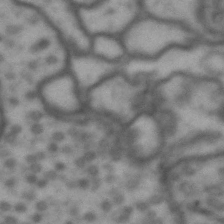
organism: Drosophila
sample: Brain